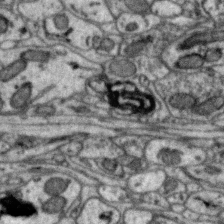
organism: Zebra finch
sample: Brain